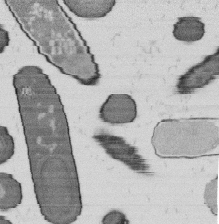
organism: B. subtilis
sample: Bacterial spore